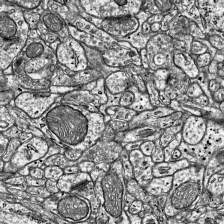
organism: Mouse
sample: Visual Cortex